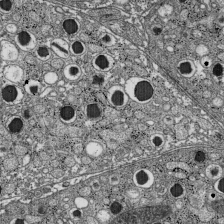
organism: C57BL Mouse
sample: Pancreatic islet